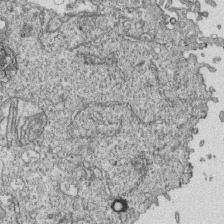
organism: Human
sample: HeLa cell HIV synapse